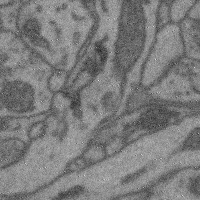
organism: Mouse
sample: Cerebral cortex